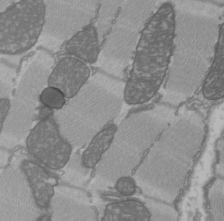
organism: C57BL Mouse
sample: Heart